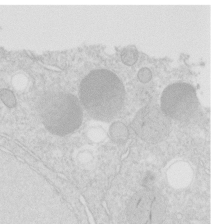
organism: C. elegans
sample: C. elegans embryo early stage